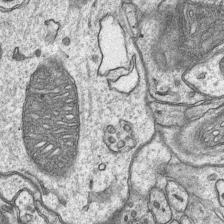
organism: Mouse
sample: CA1 Hippocampus